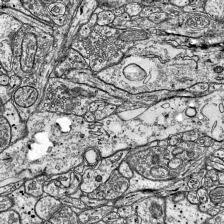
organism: Mouse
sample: Visual Cortex